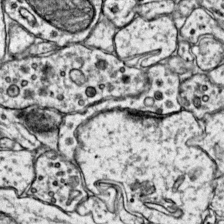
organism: Mouse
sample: Primary visual cortex